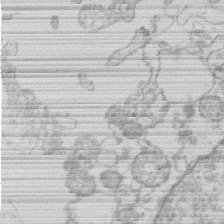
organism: Human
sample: Macrophage cells